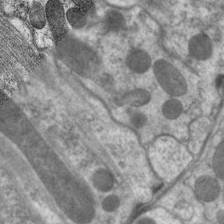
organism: C. elegans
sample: Pharynx